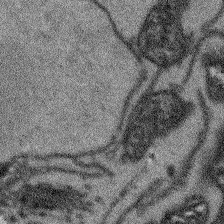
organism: Arabidopsis thaliana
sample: Root tip